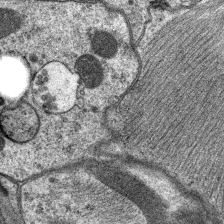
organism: C. elegans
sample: Pharynx